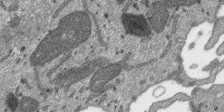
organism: Human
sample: Lung epithelial cells infected with SARS-CoV-2